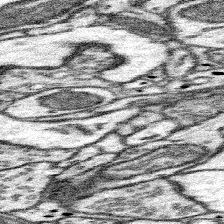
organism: Mouse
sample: Somatosensory cortex neuropil